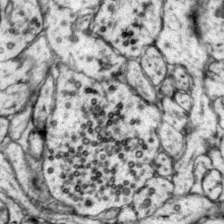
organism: Mouse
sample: Primary visual cortex